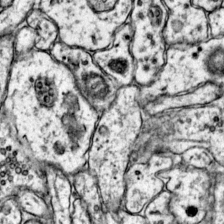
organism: Mouse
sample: Primary visual cortex